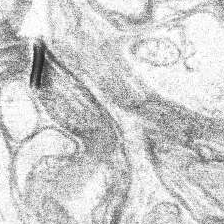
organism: Human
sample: Temporal Lobe